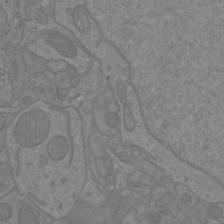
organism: Mouse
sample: Cortical neurons